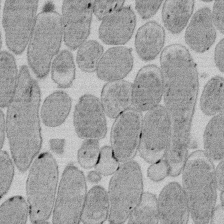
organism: E. coli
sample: Bacterial nucleoid